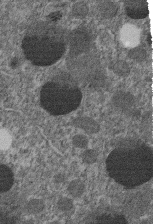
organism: C. elegans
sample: C. elegans embryo early stage